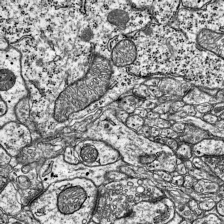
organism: Mouse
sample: Visual Cortex